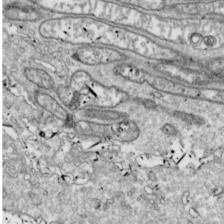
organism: Drosophila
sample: Cell division; meiosis; drosophila spermatocytes